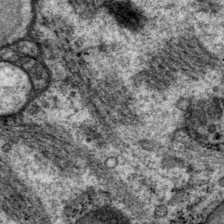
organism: P. pacificus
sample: Pharynx